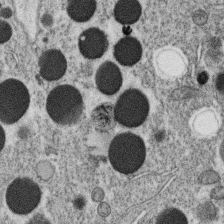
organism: C. elegans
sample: C. elegans oocyte; sperm cells